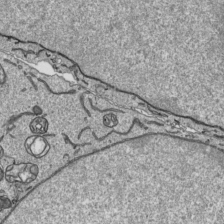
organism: Human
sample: Mitochondria in HCT116 cells